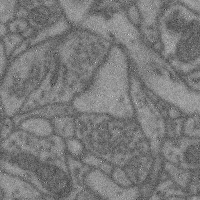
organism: Mouse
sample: Cerebral cortex